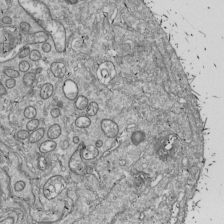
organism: Drosophila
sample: Cell division; meiosis; drosophila spermatocytes